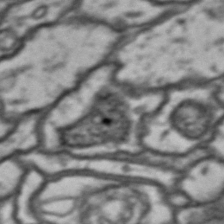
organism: Drosophila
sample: Brain